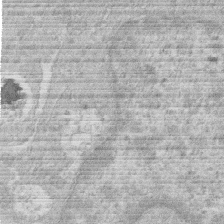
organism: Human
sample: Macrophage cells